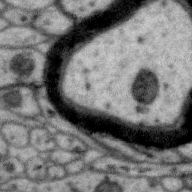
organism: Zebra finch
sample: Brain